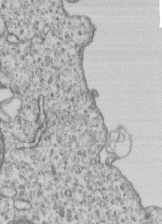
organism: Human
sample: MDA-MB-231 cells